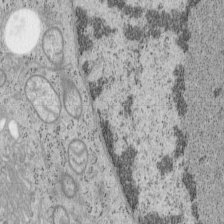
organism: Mouse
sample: OT-I killer T cells with ID8 ovarian cancer cells